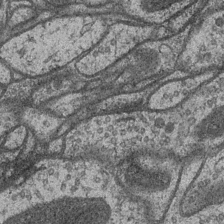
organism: Drosophila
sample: Optic medulla